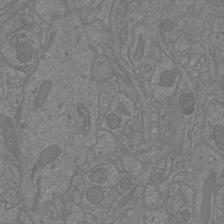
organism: Mouse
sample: Cortical neurons